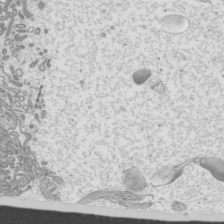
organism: Mouse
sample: Cilia; mouse epididymis